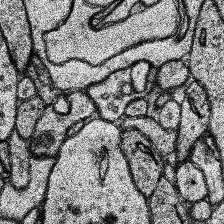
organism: Human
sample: Temporal Lobe